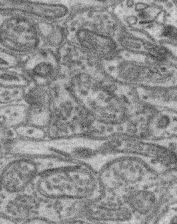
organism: Mouse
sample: Retina